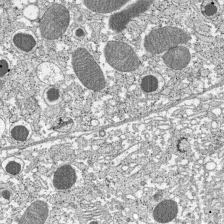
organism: C57BL Mouse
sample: Pancreatic islet